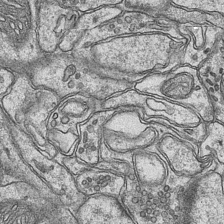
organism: Mouse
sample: CA1 Hippocampus